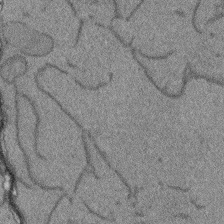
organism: Arabidopsis thaliana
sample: Root tip